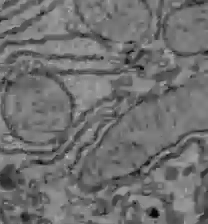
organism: C57BL Mouse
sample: Liver